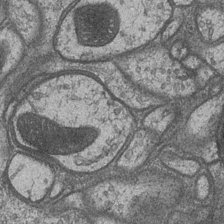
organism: Drosophila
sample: Optic medulla